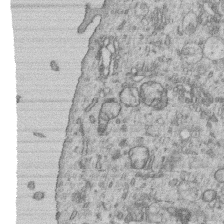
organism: Human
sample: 1205lu cells